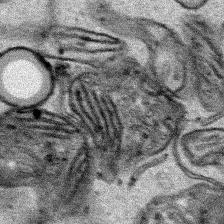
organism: Human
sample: Mitochondria in HCT116 cells